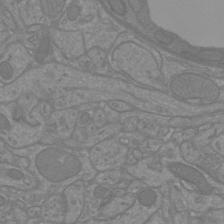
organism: Mouse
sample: Cortical neurons